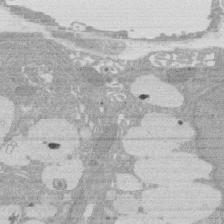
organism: Rat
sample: Salivary granule